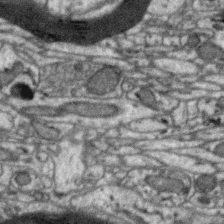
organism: Zebra finch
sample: Brain